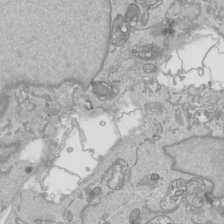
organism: Human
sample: Mitochondria in HCT116 cells